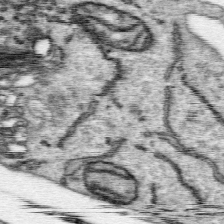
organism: Human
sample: HeLa cells